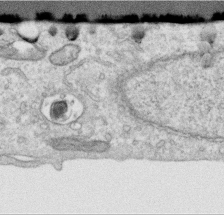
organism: Human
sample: Centriole in RPE cells